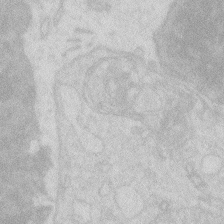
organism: Zebrafish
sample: Macrophage